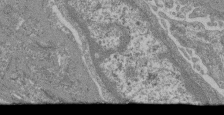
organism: Mouse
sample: Glomerulus